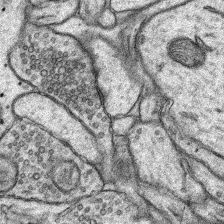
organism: Rat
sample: Hippocampus